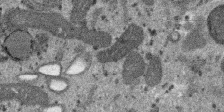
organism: Human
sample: Lung epithelial cells infected with SARS-CoV-2